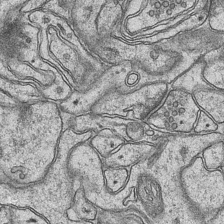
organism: Mouse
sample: CA1 Hippocampus